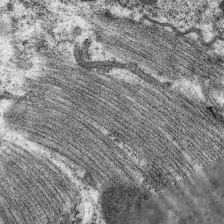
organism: C. elegans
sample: Pharynx